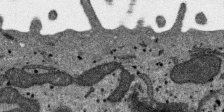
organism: Human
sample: Lung epithelial cells, uninfected (mock) control